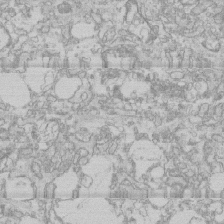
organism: Human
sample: CRL-1474